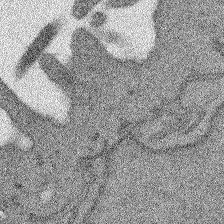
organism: Human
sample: HeLa cells